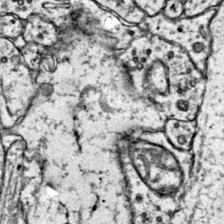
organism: Mouse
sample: Primary visual cortex